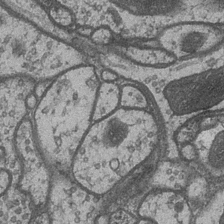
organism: Drosophila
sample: Optic medulla